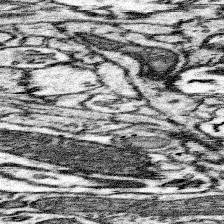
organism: Mouse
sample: Somatosensory cortex neuropil